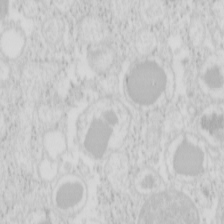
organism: Mouse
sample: Pancreas